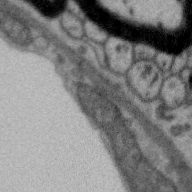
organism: Zebra finch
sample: Brain